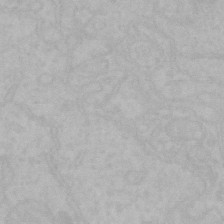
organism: Mouse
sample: Choroid plexus